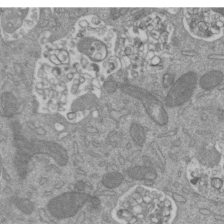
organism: Mouse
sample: ED-1 cell nuclei; centrioles